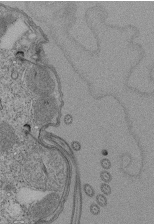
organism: Tetrahymena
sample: Cilia in tetrahymena